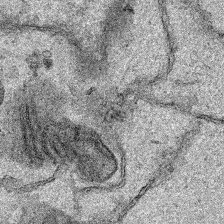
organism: Human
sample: Mitochondria in HCT116 cells